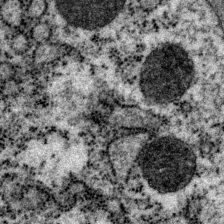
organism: P. pacificus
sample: Pharynx